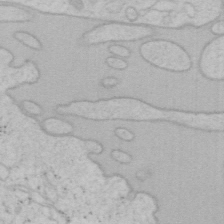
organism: Human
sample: HeLa cells